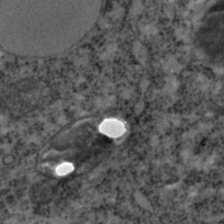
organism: C. elegans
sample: C. elegans embryo